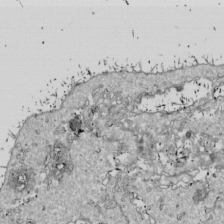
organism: Drosophila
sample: Cell division; meiosis; drosophila spermatocytes